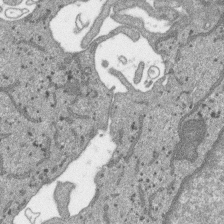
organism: Human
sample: Lung epithelial cells infected with SARS-CoV-2